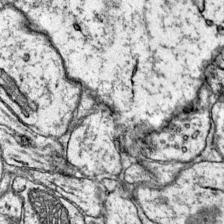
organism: Mouse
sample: Primary visual cortex